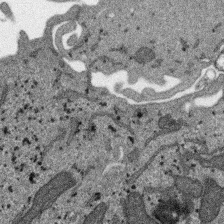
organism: Human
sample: Lung epithelial cells infected with SARS-CoV-2